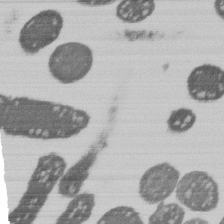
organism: E. coli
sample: Bacterial nucleoid